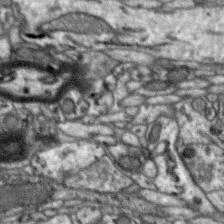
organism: Zebra finch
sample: Brain